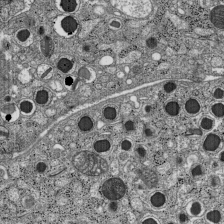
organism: C57BL Mouse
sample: Pancreatic islet